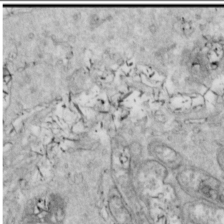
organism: Drosophila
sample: Cell division; meiosis; drosophila spermatocytes